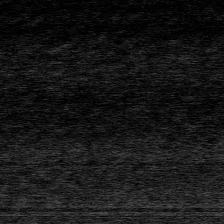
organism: Human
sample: HeLa cells